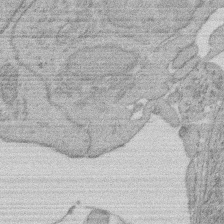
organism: Rat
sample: Salivary granule